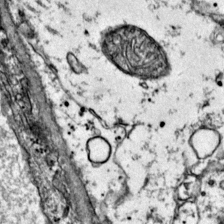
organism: Mouse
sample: Primary visual cortex